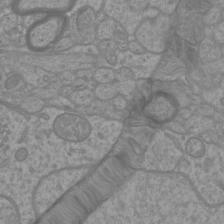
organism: Mouse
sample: Cortical neurons